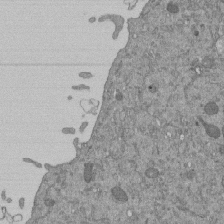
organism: Mouse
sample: ED-1 cell nuclei; centrioles